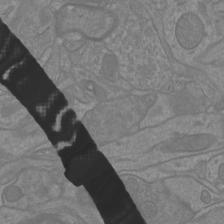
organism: Mouse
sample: Cortical neurons